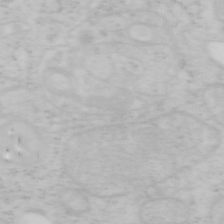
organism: Mouse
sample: OT-I killer T cells with ID8 ovarian cancer cells